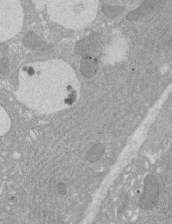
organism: Rat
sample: Salivary granule